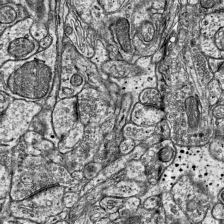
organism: Mouse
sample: Visual Cortex